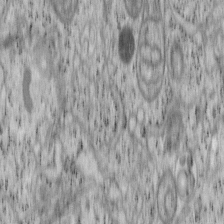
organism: Human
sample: HeLa cells